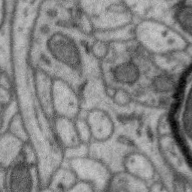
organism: Zebra finch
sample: Brain